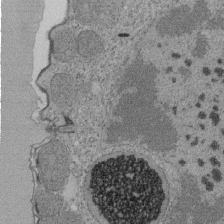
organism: Tetrahymena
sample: Cilia in tetrahymena